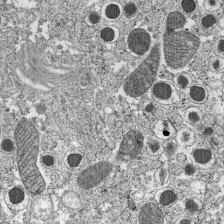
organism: C57BL Mouse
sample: Pancreatic islet